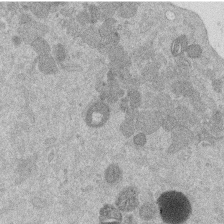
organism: Mouse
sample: Dividing mouse embryo 1 cell stage